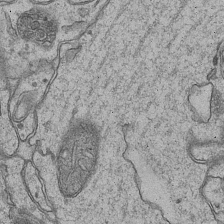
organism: Mouse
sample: CA1 Hippocampus